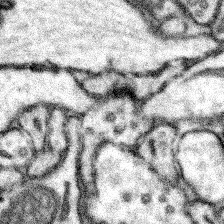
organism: Mouse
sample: Somatosensory cortex neuropil